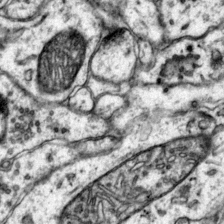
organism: Mouse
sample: Primary visual cortex